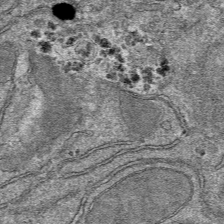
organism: Mouse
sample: Mouse hepatocytes